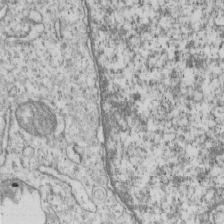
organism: Human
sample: MDA-MB-231 cells